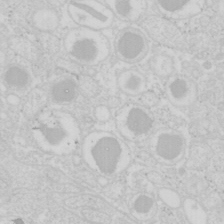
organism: Mouse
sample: Pancreas